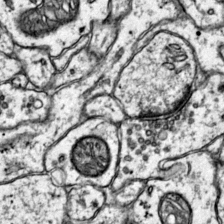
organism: Mouse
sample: Primary visual cortex